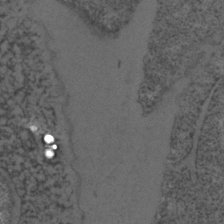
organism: C. elegans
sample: C. elegans embryo